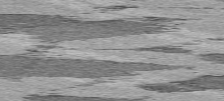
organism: C57BL Mouse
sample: Heart